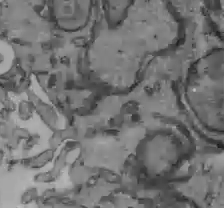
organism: C57BL Mouse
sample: Liver